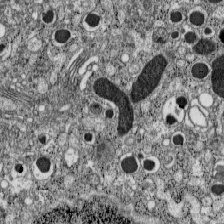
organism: C57BL Mouse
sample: Pancreatic islet